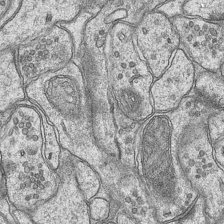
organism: Mouse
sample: CA1 Hippocampus